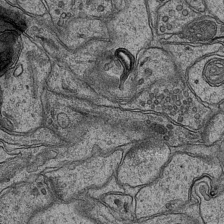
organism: Mouse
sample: CA1 Hippocampus